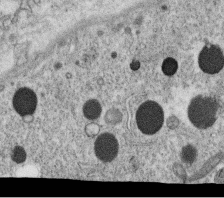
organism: C. elegans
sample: C. elegans oocyte; sperm cells